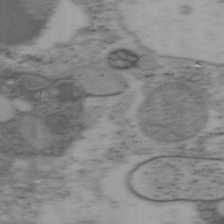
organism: Mouse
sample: OT-I killer T cells with ID8 ovarian cancer cells